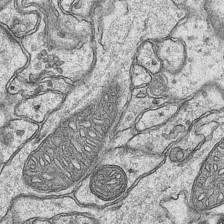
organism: Mouse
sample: CA1 Hippocampus